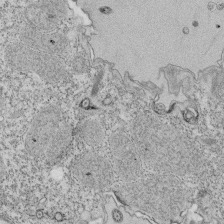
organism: Tetrahymena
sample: Cilia in tetrahymena